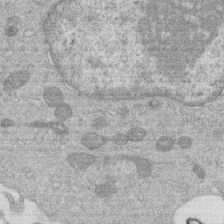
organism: Human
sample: Macrophage cells